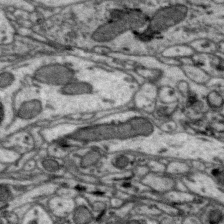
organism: Zebra finch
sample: Brain